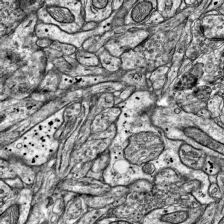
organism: Mouse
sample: Visual Cortex